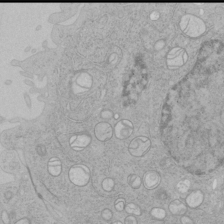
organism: Human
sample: Mitochondria in HCT116 cells